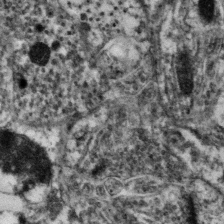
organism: Mouse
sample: Neocortex